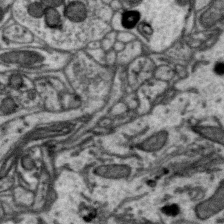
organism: Zebra finch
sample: Brain